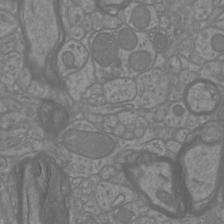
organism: Mouse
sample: Cortical neurons